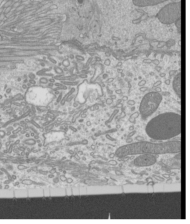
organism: Mouse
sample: Cilia; mouse epididymis